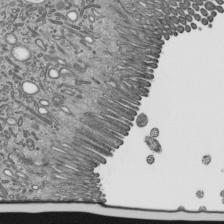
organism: Mouse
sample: Mouse epididymis efferent ductule cilia